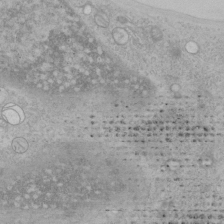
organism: Human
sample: Mitochondria in HCT116 cells